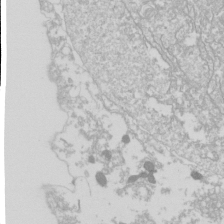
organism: Drosophila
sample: Cell division; meiosis; drosophila spermatocytes